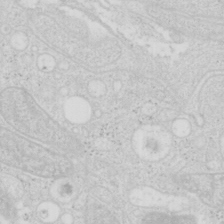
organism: Mouse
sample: Pancreas